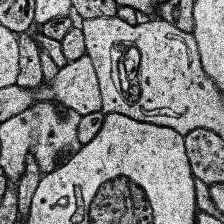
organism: Human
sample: Temporal Lobe